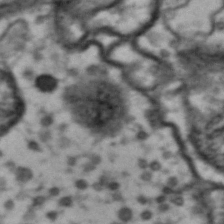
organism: Drosophila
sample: Brain